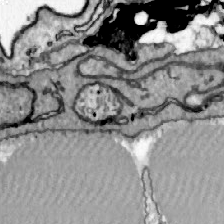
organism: Zebrafish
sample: Actinotrichia fibers